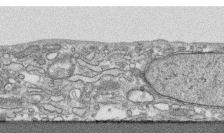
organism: Human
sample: CRL-1474